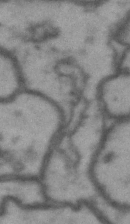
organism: Drosophila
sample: Brain